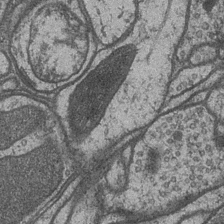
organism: Drosophila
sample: Optic medulla